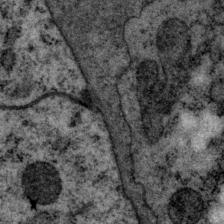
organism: P. pacificus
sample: Pharynx